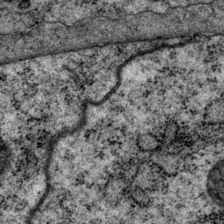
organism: P. pacificus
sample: Pharynx